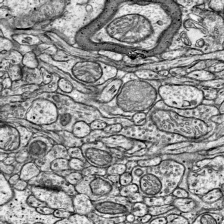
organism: Mouse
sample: Visual Cortex